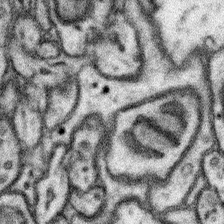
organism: Mouse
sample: Somatosensory cortex neuropil